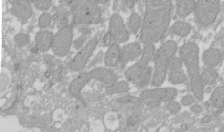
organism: Xenopus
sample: Cilia; centrioles in frog embryo cells